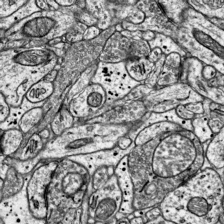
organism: Mouse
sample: Visual Cortex